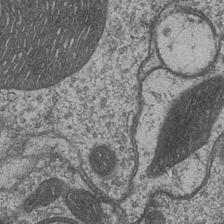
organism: Drosophila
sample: Optic medulla